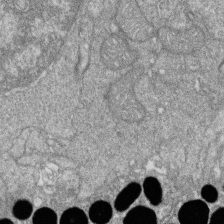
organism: Zebrafish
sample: Cilia; retinal pigment epithelium